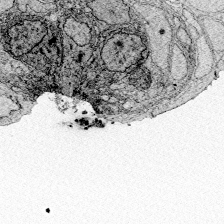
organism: Zebrafish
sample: Whole-Brain